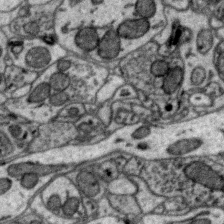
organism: Zebra finch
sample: Brain